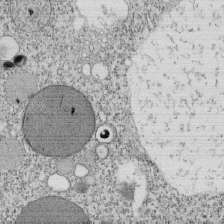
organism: Tetrahymena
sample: Cilia in tetrahymena